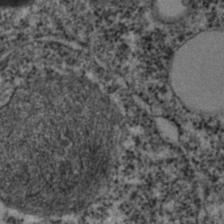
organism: C. elegans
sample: C. elegans embryo